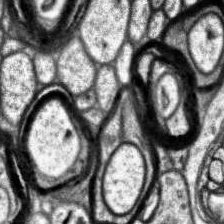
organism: Human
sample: Temporal Lobe